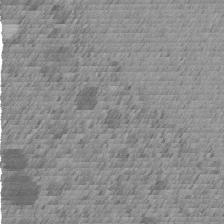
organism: C. elegans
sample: C. elegans embryo early stage